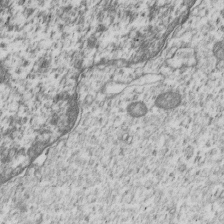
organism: Human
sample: MDA-MB-231 cells